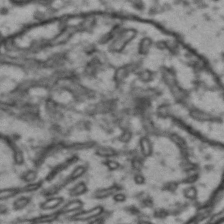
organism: Drosophila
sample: Brain